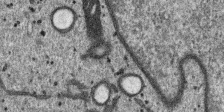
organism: Human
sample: Lung epithelial cells infected with SARS-CoV-2